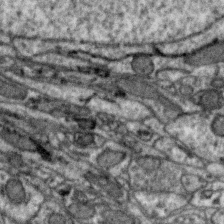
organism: Zebra finch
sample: Brain